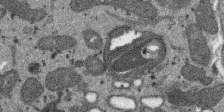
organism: Human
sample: Lung epithelial cells infected with SARS-CoV-2